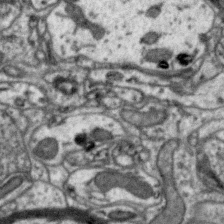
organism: Zebra finch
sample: Brain